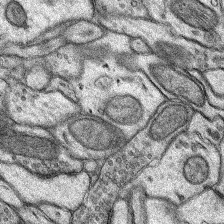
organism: Rat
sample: Hippocampus